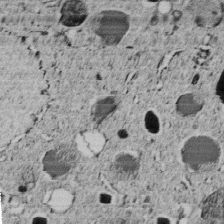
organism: C. elegans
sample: C. elegans embryo early stage